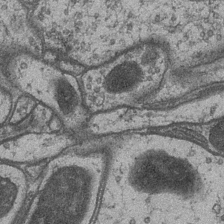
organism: Drosophila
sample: Optic medulla